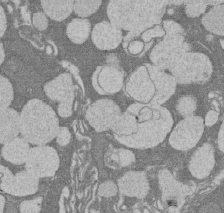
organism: Rat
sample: Salivary granule